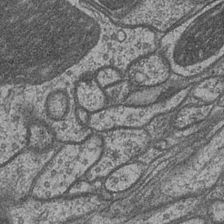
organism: Drosophila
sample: Optic medulla